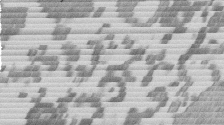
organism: Mouse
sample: Dividing mouse embryo 1 cell stage